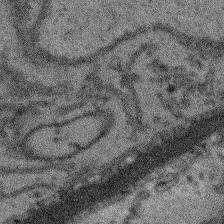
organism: Arabidopsis thaliana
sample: Root tip